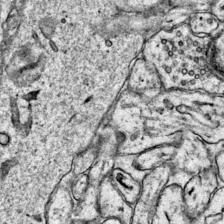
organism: Mouse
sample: Primary visual cortex